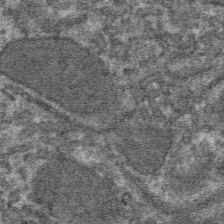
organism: Mouse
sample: Mouse hepatocytes